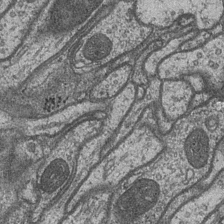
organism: Drosophila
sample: Optic medulla